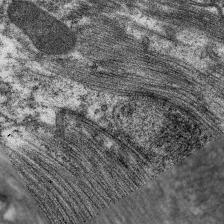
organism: C. elegans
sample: Pharynx